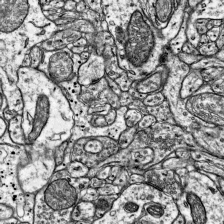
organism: Mouse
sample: Visual Cortex